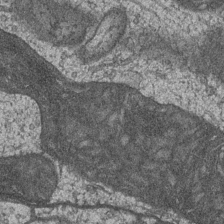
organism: Drosophila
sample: Optic medulla